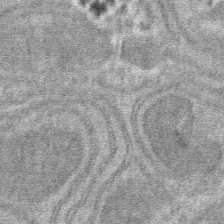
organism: Mouse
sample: Mouse hepatocytes